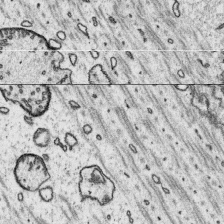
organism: Platynereis dumerilii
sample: Parapodia